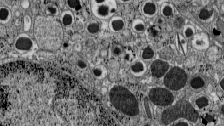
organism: C57BL Mouse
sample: Pancreatic islet